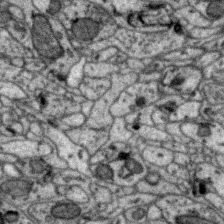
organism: Zebra finch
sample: Brain